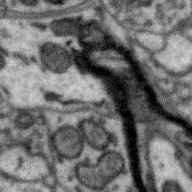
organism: Zebra finch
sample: Brain